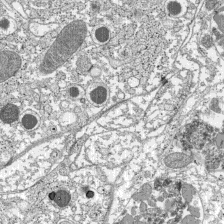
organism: C57BL Mouse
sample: Pancreatic islet